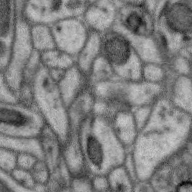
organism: Zebra finch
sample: Brain